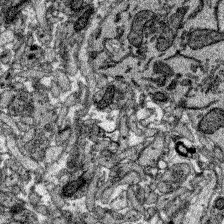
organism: Zebrafish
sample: Larval olfactory bulb